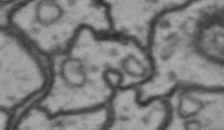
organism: Drosophila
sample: Brain